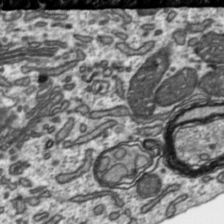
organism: Toxoplasma gondii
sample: Parasites in a vacuole inside a host cell